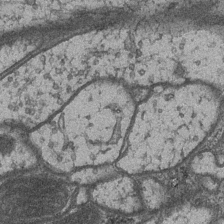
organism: Drosophila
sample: Optic medulla